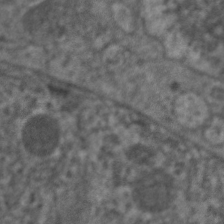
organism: C. elegans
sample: Pharynx